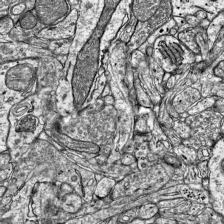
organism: Mouse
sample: Visual Cortex